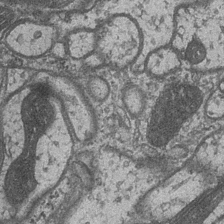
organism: Drosophila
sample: Optic medulla